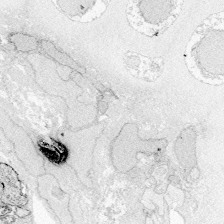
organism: Zebrafish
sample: Whole-Brain